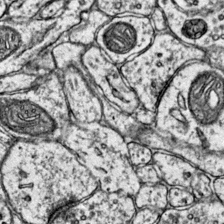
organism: Mouse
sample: Primary visual cortex